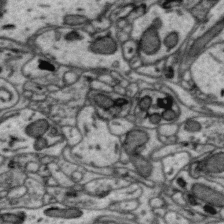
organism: Zebra finch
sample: Brain